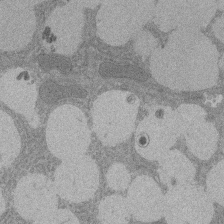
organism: Rat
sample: Salivary granule